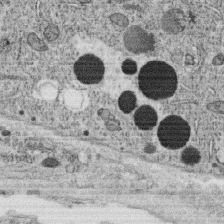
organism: C. elegans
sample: C. elegans oocyte; sperm cells